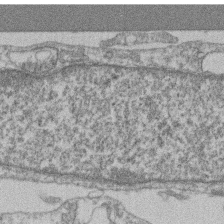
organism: Mouse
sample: T cell stromal cell synapse